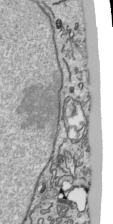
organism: Human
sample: Mitochondria in HCT116 cells